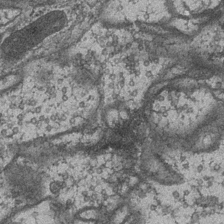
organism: Drosophila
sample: Optic medulla